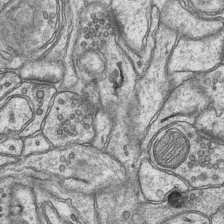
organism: Mouse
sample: CA1 Hippocampus